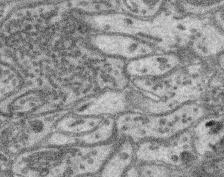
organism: Mouse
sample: Retina